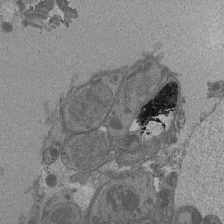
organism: Drosophila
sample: Antenna